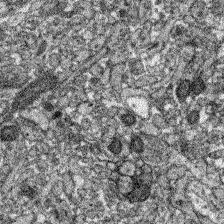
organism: Zebrafish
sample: Larval olfactory bulb